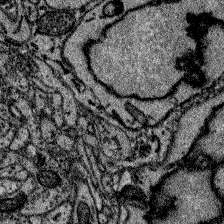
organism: Zebrafish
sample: Larval olfactory bulb